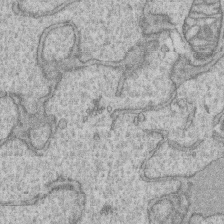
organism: Human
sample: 1205lu cells